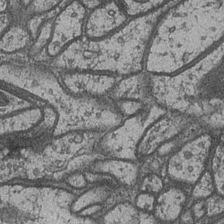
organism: Drosophila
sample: Optic medulla